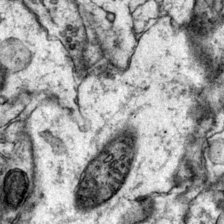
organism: Mouse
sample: Primary visual cortex